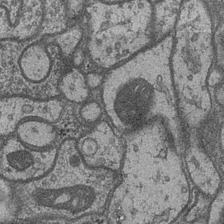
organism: Drosophila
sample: Optic medulla